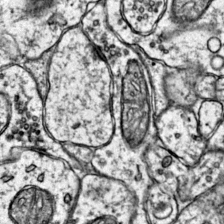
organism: Mouse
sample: Primary visual cortex